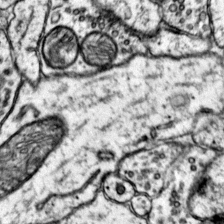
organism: Mouse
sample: Primary visual cortex